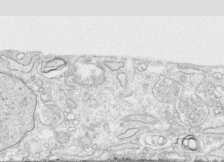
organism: Human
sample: CRL-1474